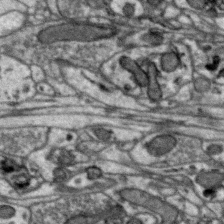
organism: Zebra finch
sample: Brain